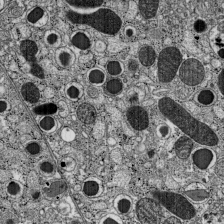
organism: C57BL Mouse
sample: Pancreatic islet